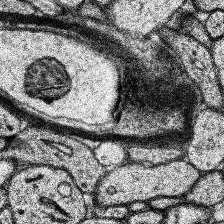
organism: Human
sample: Temporal Lobe